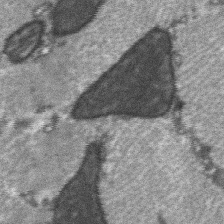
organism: C57BL Mouse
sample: Soleus